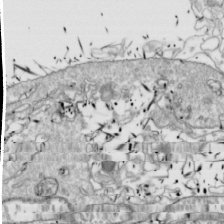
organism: Drosophila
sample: Cell division; meiosis; drosophila spermatocytes